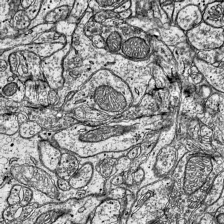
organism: Mouse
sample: Visual Cortex